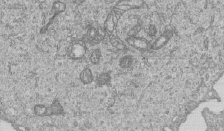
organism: Human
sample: MDA-MB-231 cells